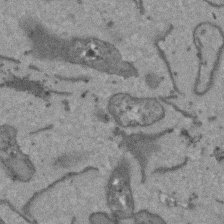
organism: Arabidopsis thaliana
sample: Root tip